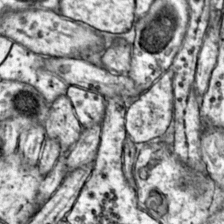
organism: Mouse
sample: Primary visual cortex